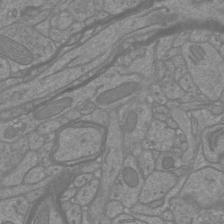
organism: Mouse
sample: Cortical neurons